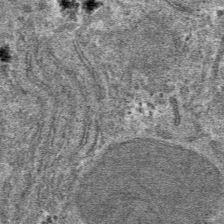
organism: Mouse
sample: Mouse hepatocytes